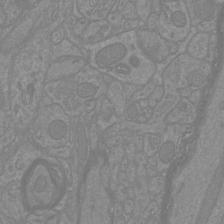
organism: Mouse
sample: Cortical neurons